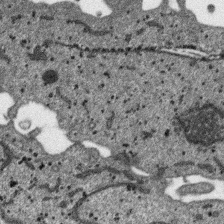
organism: Human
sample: Lung epithelial cells infected with SARS-CoV-2